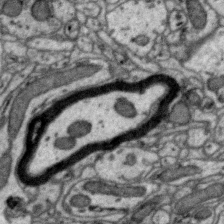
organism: Zebra finch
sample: Brain